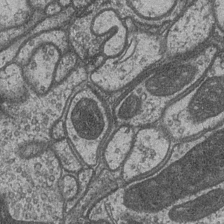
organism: Drosophila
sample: Optic medulla